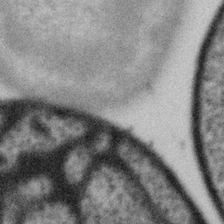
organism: Gemmata obscuriglobus